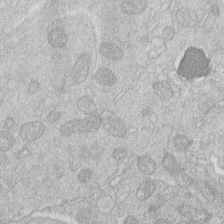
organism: Human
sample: Macrophage cells